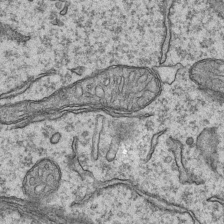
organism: Mouse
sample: CA1 Hippocampus